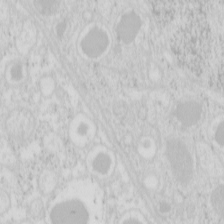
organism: Mouse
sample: Pancreas